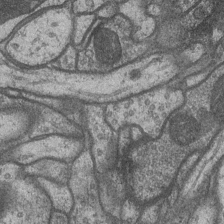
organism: Drosophila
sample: Optic medulla